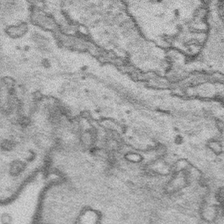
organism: Platynereis dumerilii